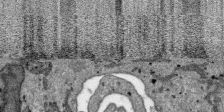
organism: Human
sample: Lung epithelial cells, uninfected (mock) control